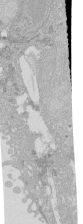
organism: Human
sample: Caco-2 cells